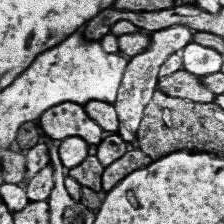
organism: Human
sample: Temporal Lobe